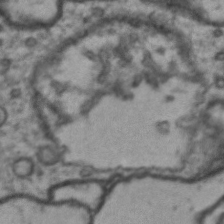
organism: Drosophila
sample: Brain